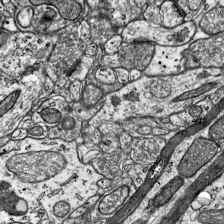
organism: Mouse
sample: Visual Cortex